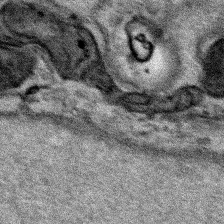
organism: Human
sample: Mitochondria in HCT116 cells